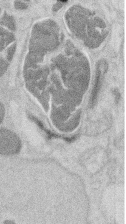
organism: Mouse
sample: T cell stromal cell synapse